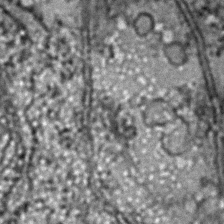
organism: Zebrafish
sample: Zebrafish embryo